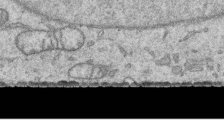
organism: Human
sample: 1205lu cells